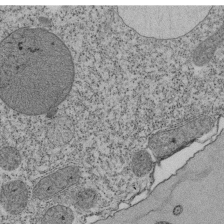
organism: Tetrahymena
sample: Cilia in tetrahymena